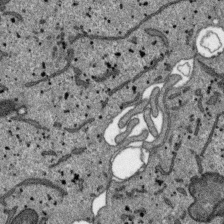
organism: Human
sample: Lung epithelial cells, uninfected (mock) control